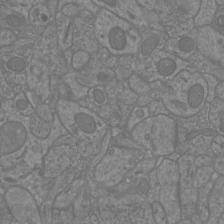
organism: Mouse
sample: Cortical neurons